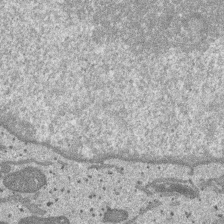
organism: Human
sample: Lung epithelial cells infected with SARS-CoV-2